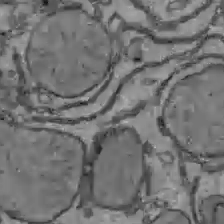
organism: C57BL Mouse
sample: Liver